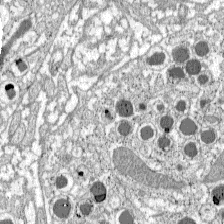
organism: C57BL Mouse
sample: Pancreatic islet